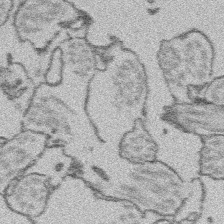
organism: Platynereis dumerilii